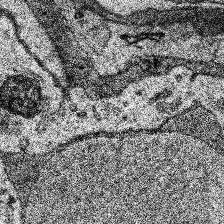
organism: Human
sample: Temporal Lobe